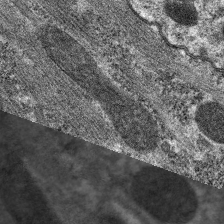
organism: C. elegans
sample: Pharynx